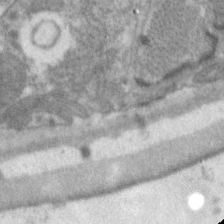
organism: C. elegans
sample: Pharynx